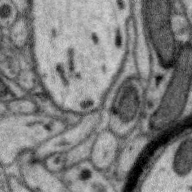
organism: Zebra finch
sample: Brain